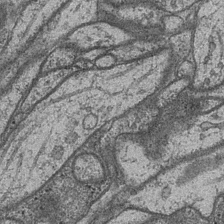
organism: Drosophila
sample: Optic medulla